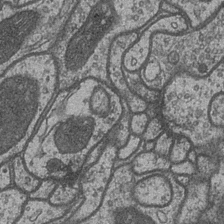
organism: Drosophila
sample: Optic medulla